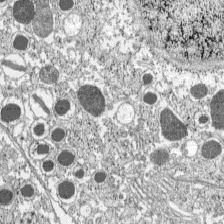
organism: C57BL Mouse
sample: Pancreatic islet